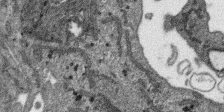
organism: Human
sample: Lung epithelial cells infected with SARS-CoV-2